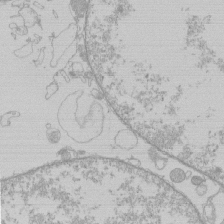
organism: Human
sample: Macrophage cells